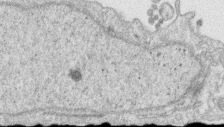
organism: Human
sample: HeLa cell HIV synapse